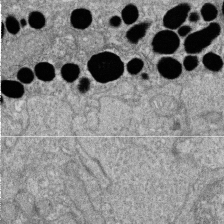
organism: Zebrafish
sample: Cilia; retinal pigment epithelium